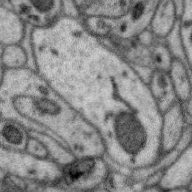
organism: Zebra finch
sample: Brain